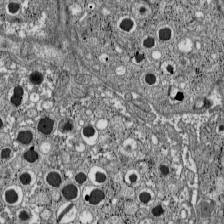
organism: C57BL Mouse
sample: Pancreatic islet